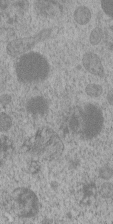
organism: C. elegans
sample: C. elegans embryo early stage